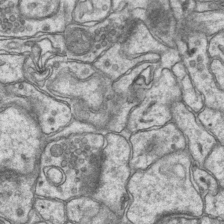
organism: Mouse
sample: CA1 Hippocampus